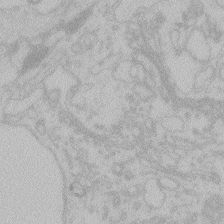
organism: Zebrafish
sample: Macrophage infected with Toxoplasma gondii